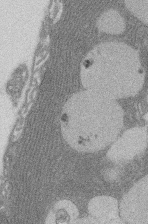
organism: Rat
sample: Salivary granule